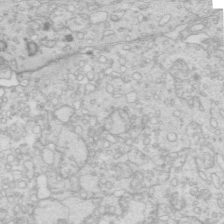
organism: Mouse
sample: Multiciliated cells